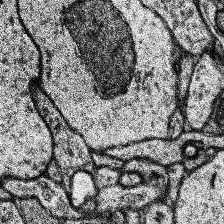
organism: Human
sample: Temporal Lobe